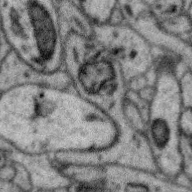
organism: Zebra finch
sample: Brain